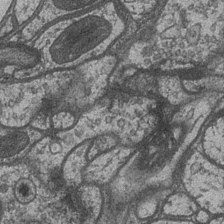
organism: Drosophila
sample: Optic medulla